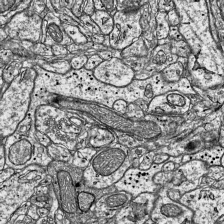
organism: Mouse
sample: Visual Cortex